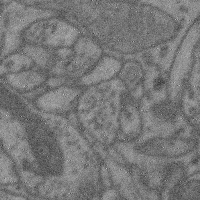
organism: Mouse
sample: Cerebral cortex